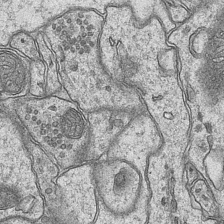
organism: Mouse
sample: CA1 Hippocampus